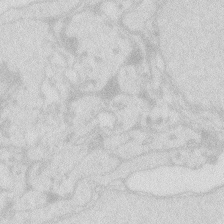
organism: Zebrafish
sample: Macrophage